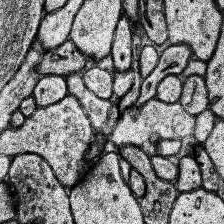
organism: Human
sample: Temporal Lobe